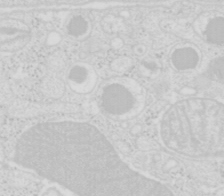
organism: Mouse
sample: Pancreas